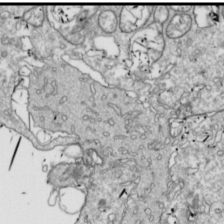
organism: Drosophila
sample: Cell division; meiosis; drosophila spermatocytes